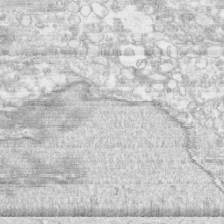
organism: Human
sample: CRL-1474